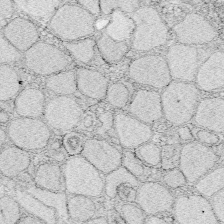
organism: Zebrafish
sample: Whole-Brain